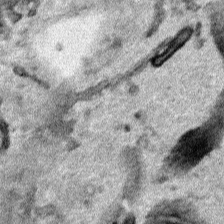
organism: Human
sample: Mitochondria in HCT116 cells